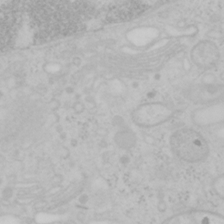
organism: Mouse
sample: OT-I killer T cells with ID8 ovarian cancer cells